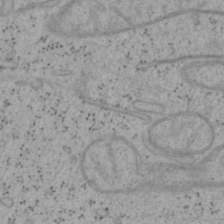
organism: Human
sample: HeLa cells